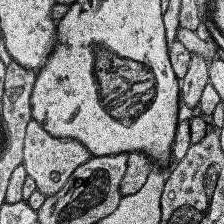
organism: Human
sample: Temporal Lobe